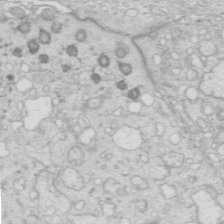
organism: Mouse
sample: Multiciliated cells